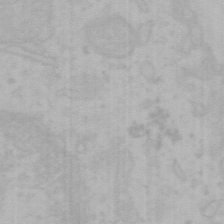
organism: Mouse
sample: Choroid plexus